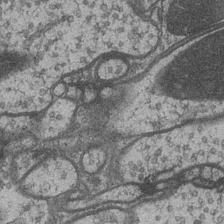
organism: Drosophila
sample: Optic medulla